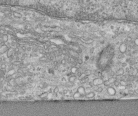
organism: Human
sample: Centriole in RPE cells